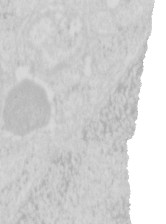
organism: Mouse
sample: Pancreas